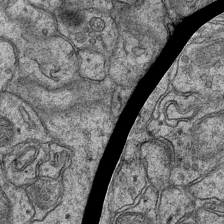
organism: Mouse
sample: CA1 Hippocampus